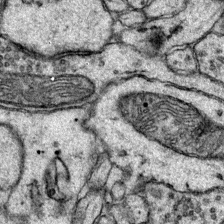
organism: Mouse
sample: Primary visual cortex